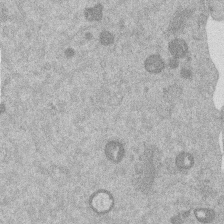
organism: Mouse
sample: Dividing mouse embryo 1 cell stage